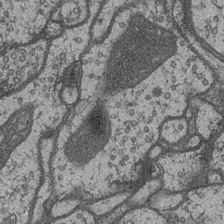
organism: Drosophila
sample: Optic medulla